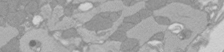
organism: Rat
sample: Left ventricle